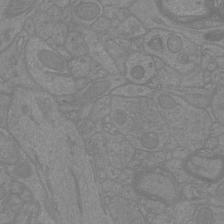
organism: Mouse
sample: Cortical neurons